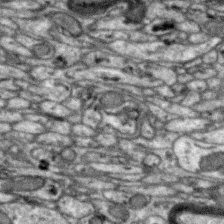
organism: Zebra finch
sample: Brain